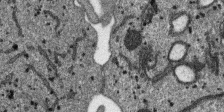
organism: Human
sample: Lung epithelial cells infected with SARS-CoV-2